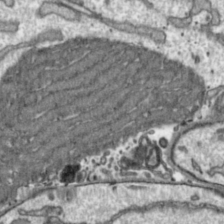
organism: Toxoplasma gondii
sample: Parasites in a vacuole inside a host cell